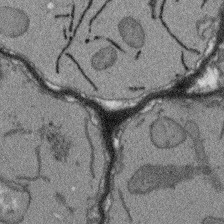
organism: Arabidopsis thaliana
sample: Root tip